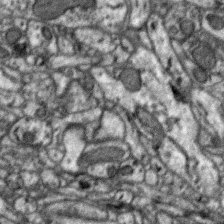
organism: Zebra finch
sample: Brain